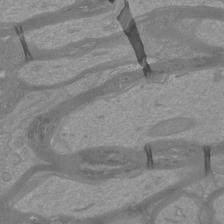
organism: Mouse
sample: Cortical neurons